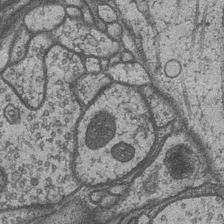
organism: Drosophila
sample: Optic medulla